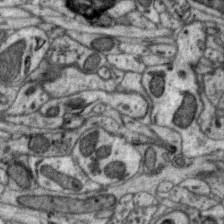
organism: Zebra finch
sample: Brain